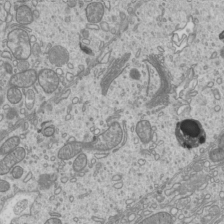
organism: Mouse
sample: Cilia; mouse epididymis